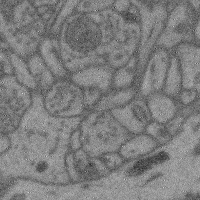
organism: Mouse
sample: Cerebral cortex